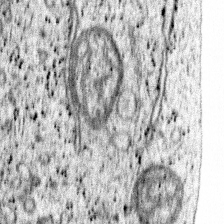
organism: Human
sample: HeLa cells